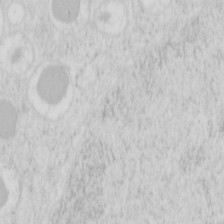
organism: Mouse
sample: Pancreas